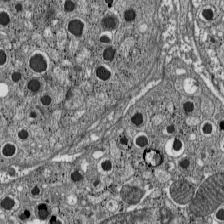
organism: C57BL Mouse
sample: Pancreatic islet